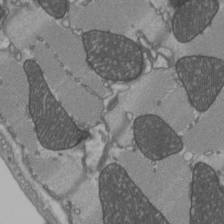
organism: C57BL Mouse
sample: Heart